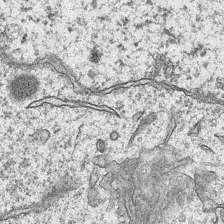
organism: Mouse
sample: CA1 Hippocampus